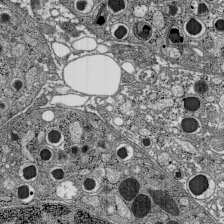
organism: C57BL Mouse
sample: Pancreatic islet